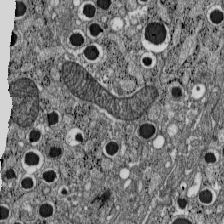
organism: C57BL Mouse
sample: Pancreatic islet